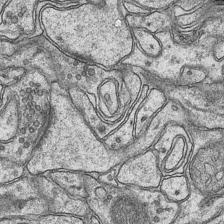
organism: Mouse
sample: CA1 Hippocampus